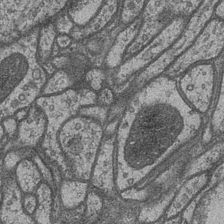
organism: Drosophila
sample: Optic medulla